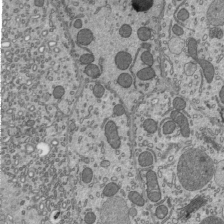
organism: Mouse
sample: Mouse epididymis efferent ductule cilia